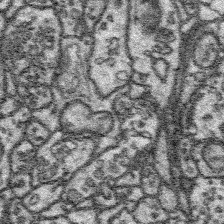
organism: Platynereis dumerilii